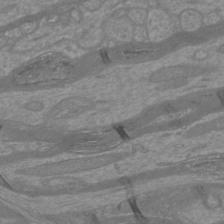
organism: Mouse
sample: Cortical neurons